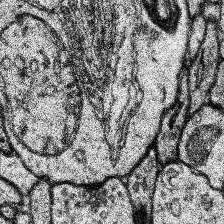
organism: Human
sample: Temporal Lobe